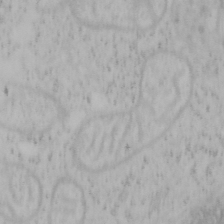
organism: Mouse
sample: OT-I killer T cells with ID8 ovarian cancer cells